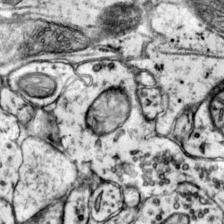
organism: Mouse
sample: Primary visual cortex